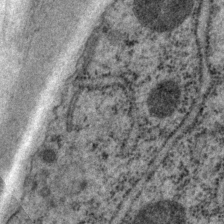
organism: P. pacificus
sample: Pharynx